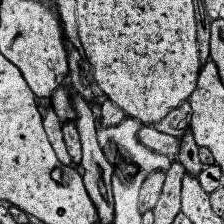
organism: Human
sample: Temporal Lobe